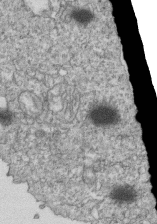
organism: Human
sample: HeLa cell HIV synapse